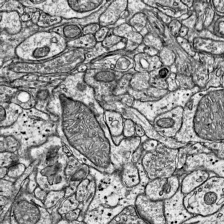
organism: Mouse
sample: Visual Cortex